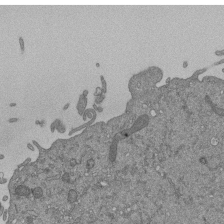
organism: Mouse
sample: ED-1 cell nuclei; centrioles